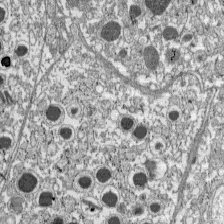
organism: C57BL Mouse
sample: Pancreatic islet